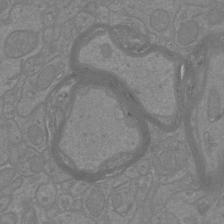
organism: Mouse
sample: Cortical neurons